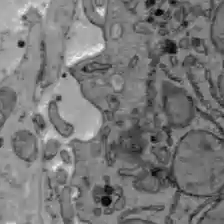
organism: C57BL Mouse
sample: Liver